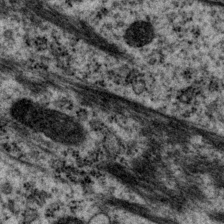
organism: P. pacificus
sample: Pharynx